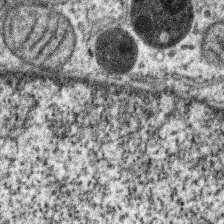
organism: Human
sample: HeLa cells